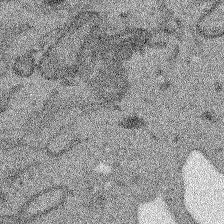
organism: Human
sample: HeLa cells